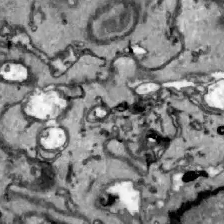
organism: Zebrafish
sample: Actinotrichia fibers